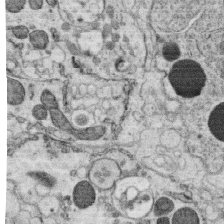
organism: C. elegans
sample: C. elegans oocyte; sperm cells